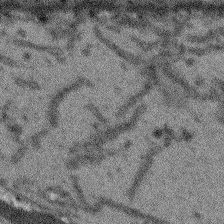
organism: Arabidopsis thaliana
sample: Root tip